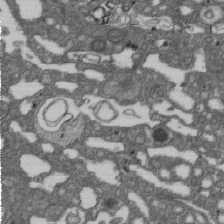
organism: Drosophila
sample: Nephrocyte